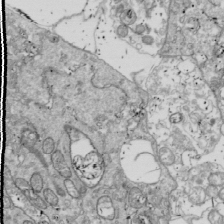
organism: Drosophila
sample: Cell division; meiosis; drosophila spermatocytes